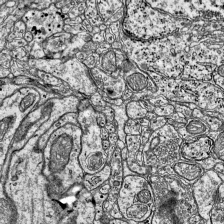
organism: Mouse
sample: Visual Cortex